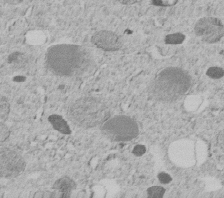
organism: C. elegans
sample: C. elegans embryo early stage